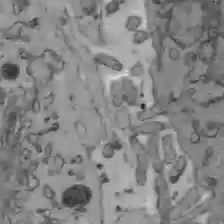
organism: C57BL Mouse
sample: Liver